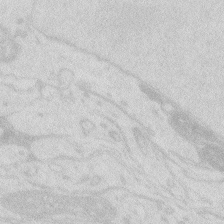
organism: Zebrafish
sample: Macrophage